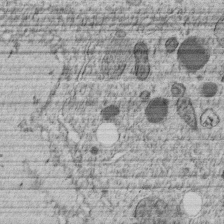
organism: C. elegans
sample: C. elegans embryo early stage